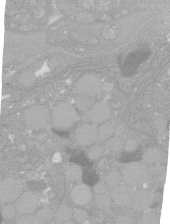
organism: C. elegans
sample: C. elegans oocyte; sperm cells